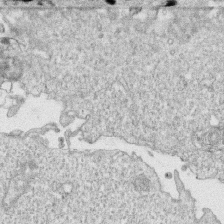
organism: Human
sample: HeLa cell HIV synapse